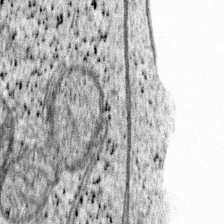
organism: Human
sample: HeLa cells